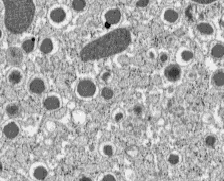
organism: C57BL Mouse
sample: Pancreatic islet